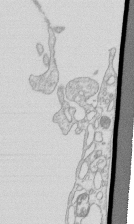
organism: Mouse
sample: Macrophages